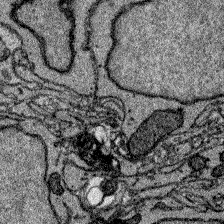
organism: Zebrafish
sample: Larval olfactory bulb